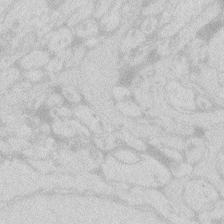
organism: Zebrafish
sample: Macrophage